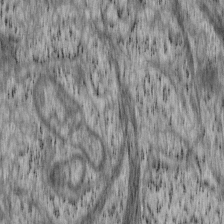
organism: Human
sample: HeLa cells